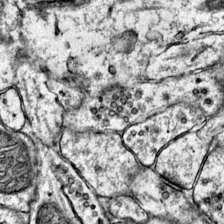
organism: Mouse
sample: Primary visual cortex